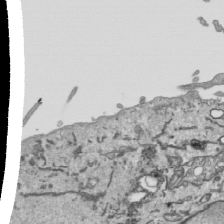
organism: Human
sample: Mitochondria in HCT116 cells